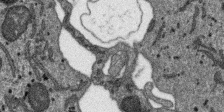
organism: Human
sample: Lung epithelial cells infected with SARS-CoV-2